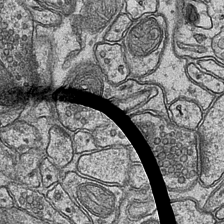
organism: Mouse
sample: CA1 Hippocampus